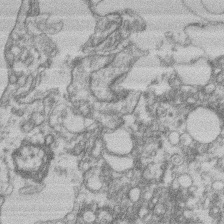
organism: Mouse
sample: T cell stromal cell synapse